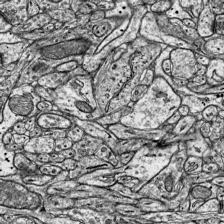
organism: Mouse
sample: Visual Cortex